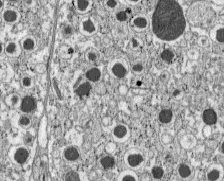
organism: C57BL Mouse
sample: Pancreatic islet